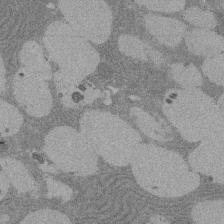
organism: Rat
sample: Salivary granule